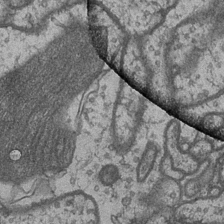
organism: Drosophila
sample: Optic medulla